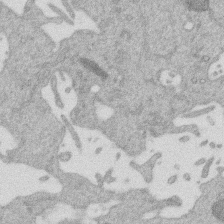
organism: Mouse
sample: Dividing mouse embryo 1 cell stage